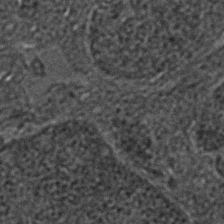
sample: Trachea